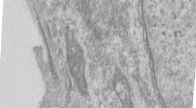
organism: Human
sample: Centriole in RPE cells